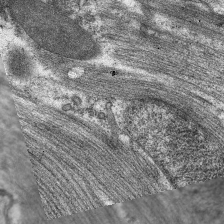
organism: C. elegans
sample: Pharynx